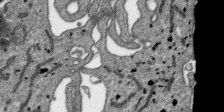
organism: Human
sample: Lung epithelial cells, uninfected (mock) control